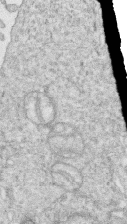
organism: Human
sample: HeLa cell HIV synapse